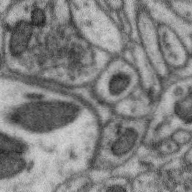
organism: Zebra finch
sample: Brain